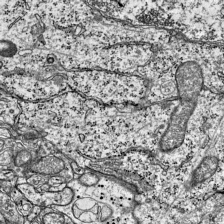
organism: Mouse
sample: Visual Cortex